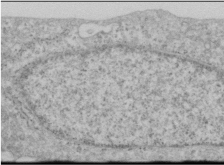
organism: Human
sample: Cilia; basal body in RPE cells